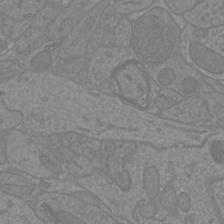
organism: Mouse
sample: Cortical neurons